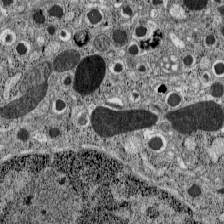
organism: C57BL Mouse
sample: Pancreatic islet